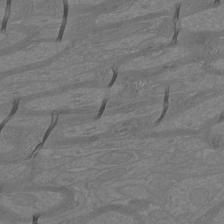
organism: Mouse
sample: Cortical neurons